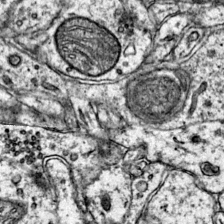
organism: Mouse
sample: Primary visual cortex